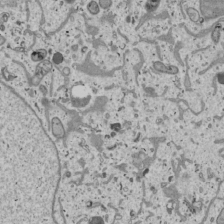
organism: Human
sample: Mitochondria in U2OS cells